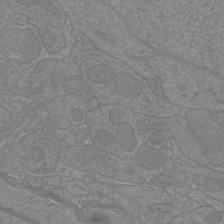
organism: Mouse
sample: Cortical neurons